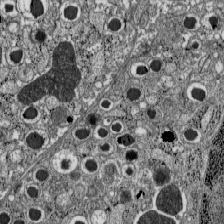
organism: C57BL Mouse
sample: Pancreatic islet